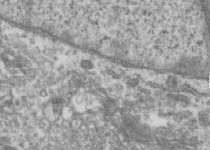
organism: Human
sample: Centriole in RPE cells